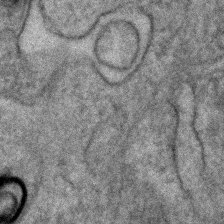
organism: Human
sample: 1205lu cells